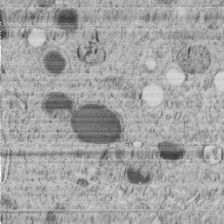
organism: C. elegans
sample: C. elegans embryo early stage